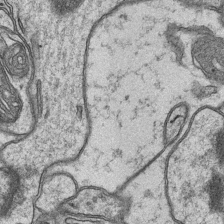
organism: Mouse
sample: CA1 Hippocampus